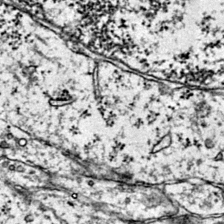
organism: Mouse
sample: Primary visual cortex